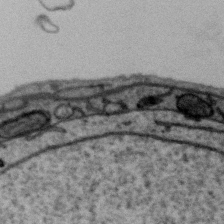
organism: Zebra finch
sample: Brain